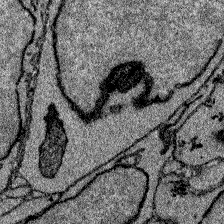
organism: Zebrafish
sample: Larval olfactory bulb